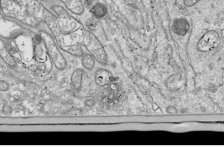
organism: Drosophila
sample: Cell division; meiosis; drosophila spermatocytes